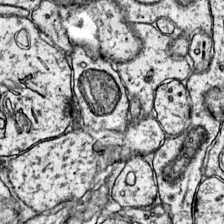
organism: Mouse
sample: Primary visual cortex